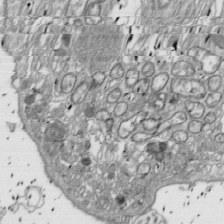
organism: Drosophila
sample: Cell division; meiosis; drosophila spermatocytes